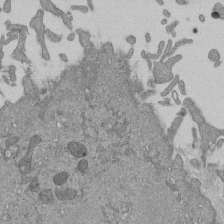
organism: Mouse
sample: ED-1 cell nuclei; centrioles